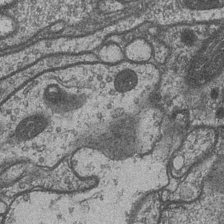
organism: Drosophila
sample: Optic medulla